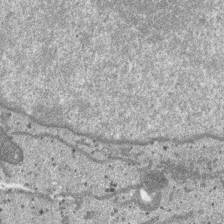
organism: Human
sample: Lung epithelial cells infected with SARS-CoV-2